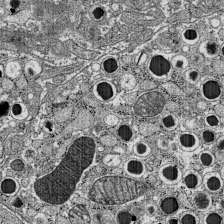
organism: C57BL Mouse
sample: Pancreatic islet